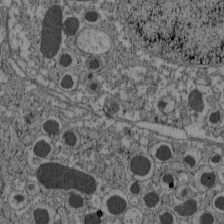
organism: C57BL Mouse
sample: Pancreatic islet